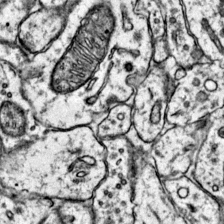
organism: Mouse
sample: Primary visual cortex